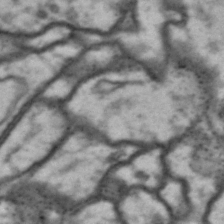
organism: Drosophila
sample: Brain